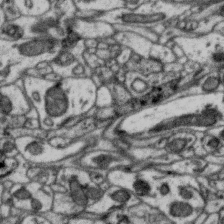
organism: Zebra finch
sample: Brain